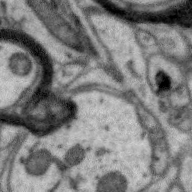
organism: Zebra finch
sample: Brain